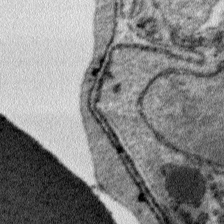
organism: Plasmodium falciparum